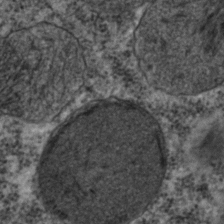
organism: C. elegans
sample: C. elegans embryo